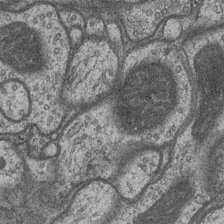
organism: Drosophila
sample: Optic medulla